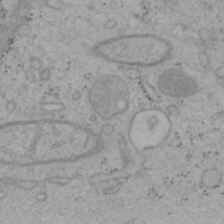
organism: Human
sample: HeLa cells